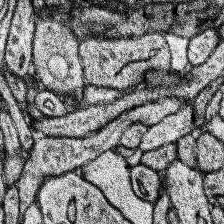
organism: Human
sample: Temporal Lobe